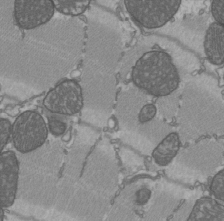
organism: C57BL Mouse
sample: Heart